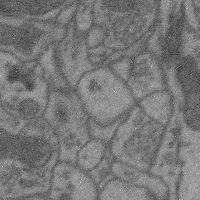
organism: Mouse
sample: Cerebral cortex